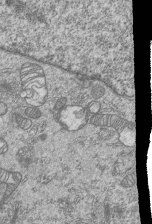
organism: Human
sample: MDA-MB-231 cells